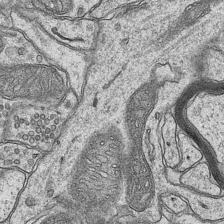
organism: Mouse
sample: CA1 Hippocampus